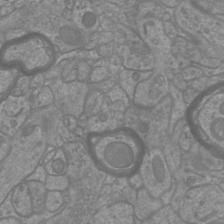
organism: Mouse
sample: Cortical neurons